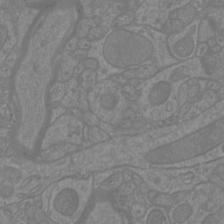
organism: Mouse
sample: Cortical neurons